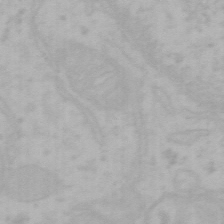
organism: Mouse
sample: Choroid plexus